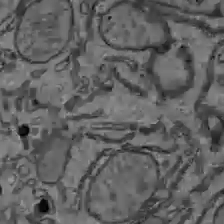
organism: C57BL Mouse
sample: Liver